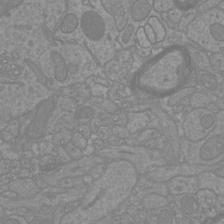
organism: Mouse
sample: Cortical neurons